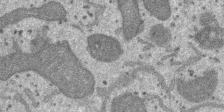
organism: Human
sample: Lung epithelial cells infected with SARS-CoV-2